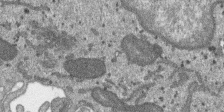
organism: Human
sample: Lung epithelial cells infected with SARS-CoV-2